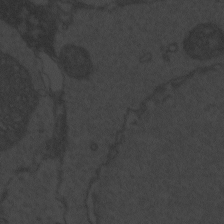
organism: Zebrafish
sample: Macrophage infected with Toxoplasma gondii